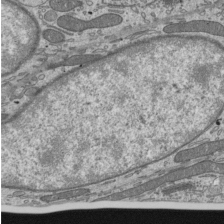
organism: Mouse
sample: Mouse epididymis efferent ductule cilia